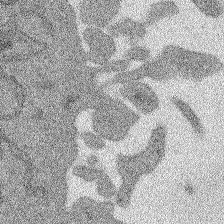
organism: Human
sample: HeLa cells